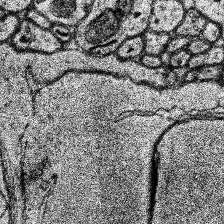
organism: Human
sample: Temporal Lobe